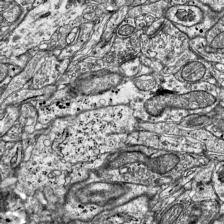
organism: Mouse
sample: Visual Cortex